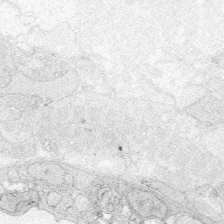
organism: Zebrafish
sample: Whole-Brain